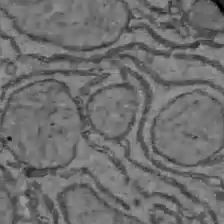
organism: C57BL Mouse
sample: Liver